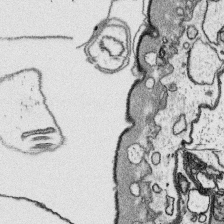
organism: Platynereis dumerilii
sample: Parapodia